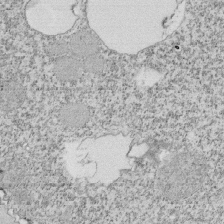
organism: Tetrahymena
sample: Cilia in tetrahymena